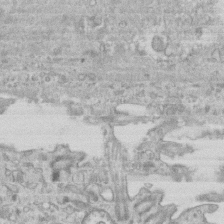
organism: Mouse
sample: Centriole in ependymal cells